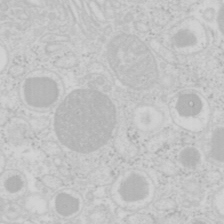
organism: Mouse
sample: Pancreas